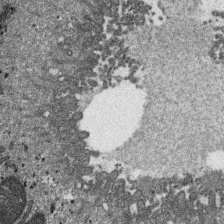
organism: Human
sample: Lung epithelial cells infected with SARS-CoV-2